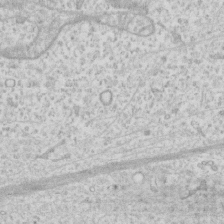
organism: Human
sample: Fibroblast cells